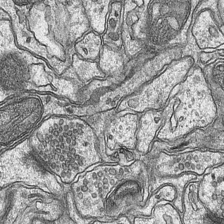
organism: Mouse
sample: CA1 Hippocampus